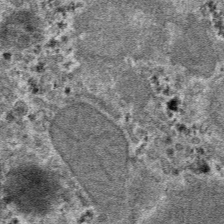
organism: Mouse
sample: Mouse hepatocytes